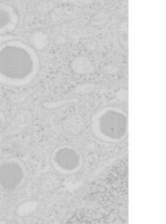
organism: Mouse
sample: Pancreas